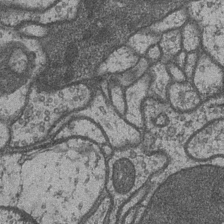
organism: Drosophila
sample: Optic medulla